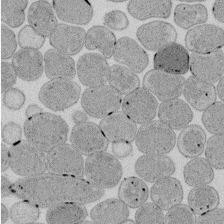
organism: E. coli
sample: Bacterial nucleoid